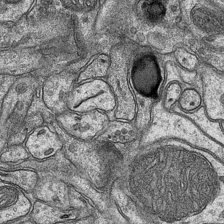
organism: Mouse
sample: CA1 Hippocampus